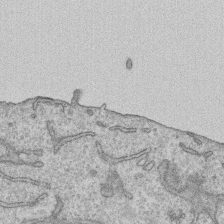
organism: Human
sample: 1205lu cells